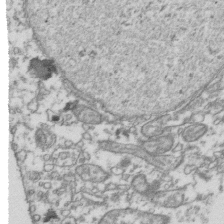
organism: Human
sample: Activated Jurkat CD4+ T cells